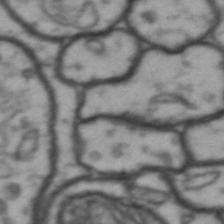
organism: Drosophila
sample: Brain